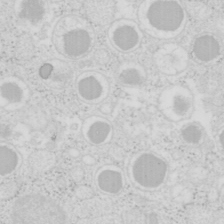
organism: Mouse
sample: Pancreas